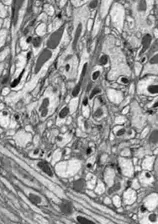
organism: Drosophila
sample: Optic lobe